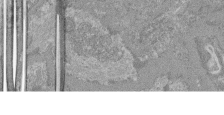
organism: Mouse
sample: Glomerulus